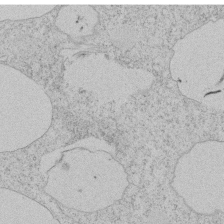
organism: Tetrahymena